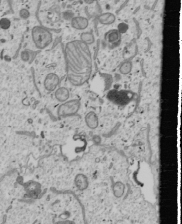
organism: Human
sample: Mitochondria in U2OS cells